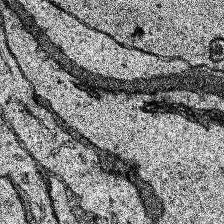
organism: Human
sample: Temporal Lobe